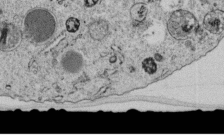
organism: C. elegans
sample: C. elegans embryo early stage